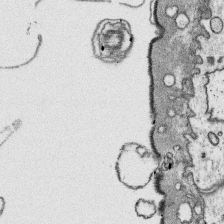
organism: Platynereis dumerilii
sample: Parapodia